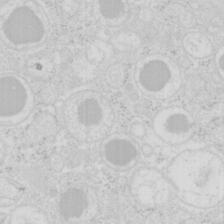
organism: Mouse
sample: Pancreas